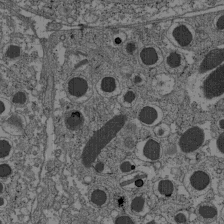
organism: C57BL Mouse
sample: Pancreatic islet